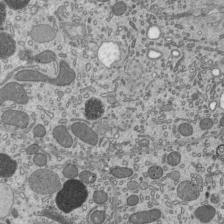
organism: Mouse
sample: Mouse epididymis efferent ductule cilia